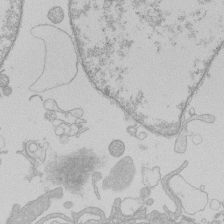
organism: Human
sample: Macrophage cells